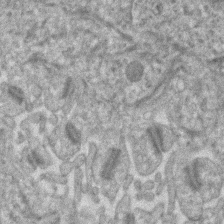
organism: Human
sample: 1205lu cells